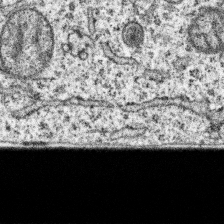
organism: Human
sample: HeLa cells